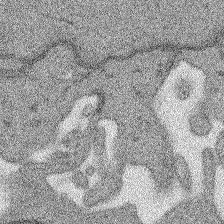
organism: Human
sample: HeLa cells